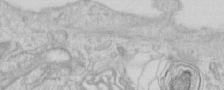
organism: Human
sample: Centriole in RPE cells